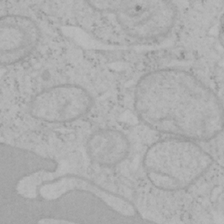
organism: Mouse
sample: OT-I killer T cells with ID8 ovarian cancer cells